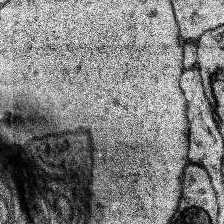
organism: Human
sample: Temporal Lobe